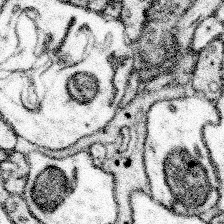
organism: Mouse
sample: Somatosensory cortex neuropil